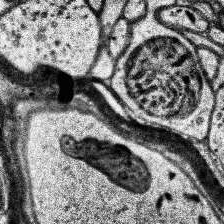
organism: Human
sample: Temporal Lobe